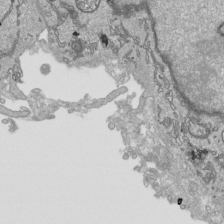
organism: Human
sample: Mitochondria in HCT116 cells